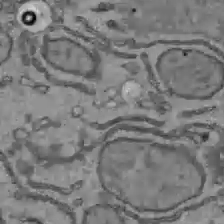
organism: C57BL Mouse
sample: Liver